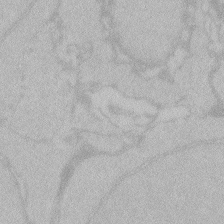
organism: Zebrafish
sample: Macrophage infected with Toxoplasma gondii